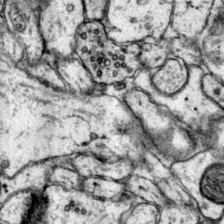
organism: Mouse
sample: Primary visual cortex